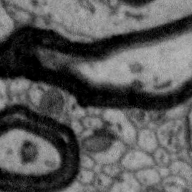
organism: Zebra finch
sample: Brain